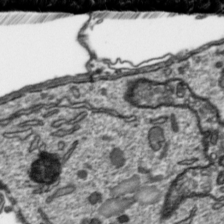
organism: Toxoplasma gondii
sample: Parasites in a vacuole inside a host cell